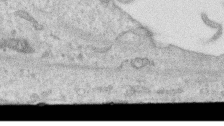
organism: Human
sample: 1205lu cells